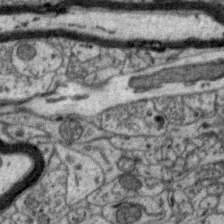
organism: Zebra finch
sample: Brain